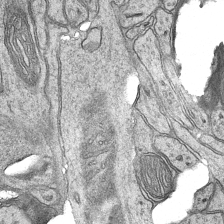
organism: Mouse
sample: CA1 Hippocampus